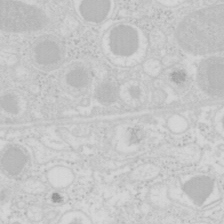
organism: Mouse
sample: Pancreas